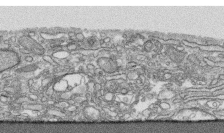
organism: Human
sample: CRL-1474